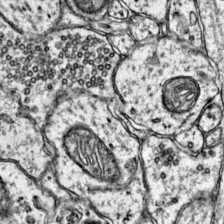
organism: Mouse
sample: Primary visual cortex